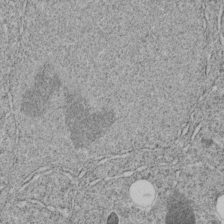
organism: C. elegans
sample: C. elegans embryo early stage